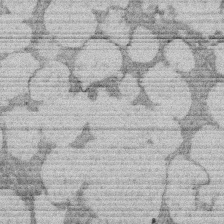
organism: Rat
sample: Salivary granule